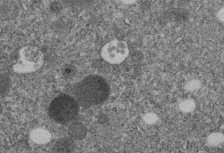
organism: C. elegans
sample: C. elegans embryo early stage